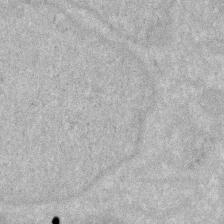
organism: Human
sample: HIV infected U937 cells